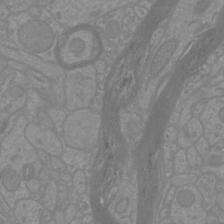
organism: Mouse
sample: Cortical neurons